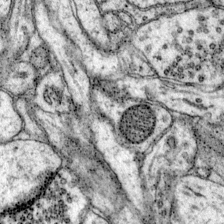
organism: Mouse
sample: Primary visual cortex